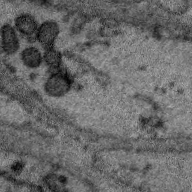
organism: Zebra finch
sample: Brain